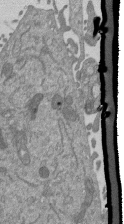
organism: Mouse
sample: ED-1 cell nuclei; centrioles